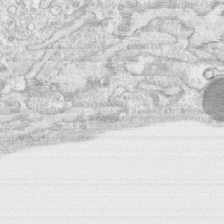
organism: Human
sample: CRL-1474